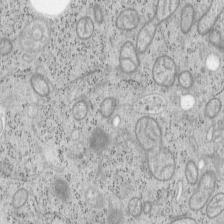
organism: Mouse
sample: OT-I killer T cells with ID8 ovarian cancer cells